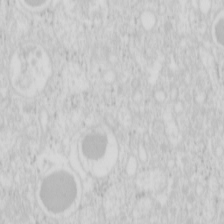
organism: Mouse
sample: Pancreas